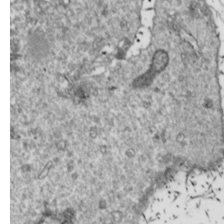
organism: Drosophila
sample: Cell division; meiosis; drosophila spermatocytes